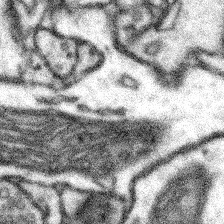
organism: Mouse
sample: Somatosensory cortex neuropil